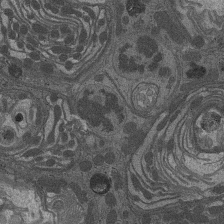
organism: Drosophila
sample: Antenna